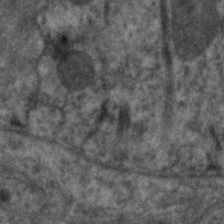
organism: C. elegans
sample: Pharynx